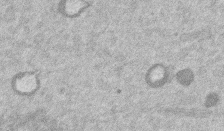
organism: Mouse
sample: Dividing mouse embryo 1 cell stage